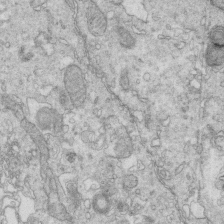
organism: Mouse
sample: Multiciliated cells